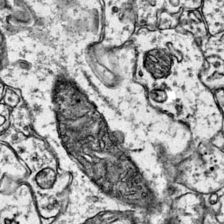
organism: Mouse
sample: Primary visual cortex